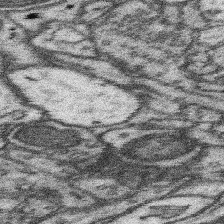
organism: Mouse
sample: Somatosensory cortex neuropil